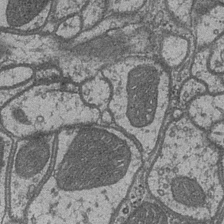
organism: Drosophila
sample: Optic medulla